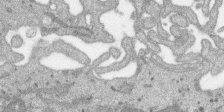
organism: Human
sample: Lung epithelial cells infected with SARS-CoV-2